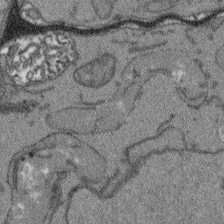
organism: Arabidopsis thaliana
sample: Root tip